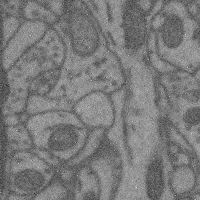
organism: Mouse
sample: Cerebral cortex